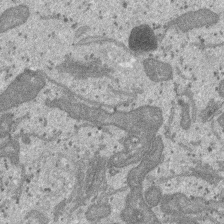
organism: Human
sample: Lung epithelial cells infected with SARS-CoV-2